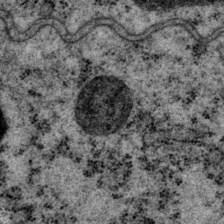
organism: P. pacificus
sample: Pharynx